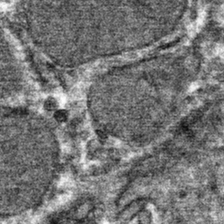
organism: Mouse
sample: Mouse hepatocytes